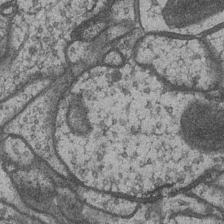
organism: Drosophila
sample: Optic medulla